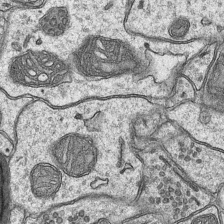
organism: Mouse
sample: CA1 Hippocampus